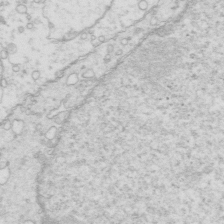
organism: Mouse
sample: Multiciliated cells